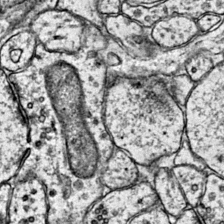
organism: Mouse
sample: Primary visual cortex